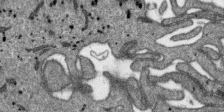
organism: Human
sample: Lung epithelial cells, uninfected (mock) control